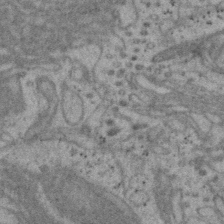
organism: Human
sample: HeLa cells